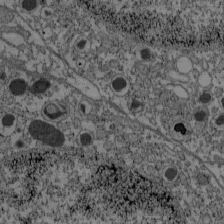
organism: C57BL Mouse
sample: Pancreatic islet